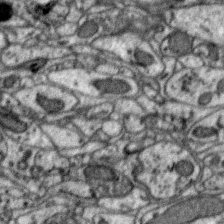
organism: Zebra finch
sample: Brain